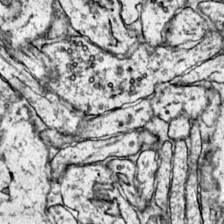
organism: Mouse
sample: Primary visual cortex